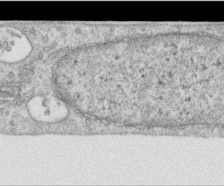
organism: Human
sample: Centriole in RPE cells